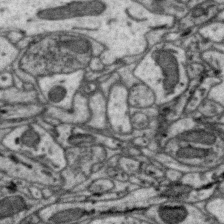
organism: Zebra finch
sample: Brain